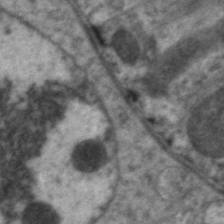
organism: C. elegans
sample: Pharynx